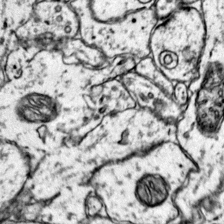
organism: Mouse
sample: Primary visual cortex